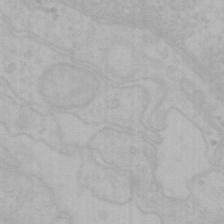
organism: Mouse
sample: Choroid plexus